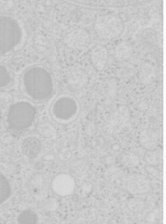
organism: Mouse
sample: Pancreas